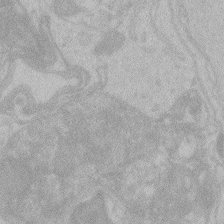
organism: Zebrafish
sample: Macrophage infected with Toxoplasma gondii